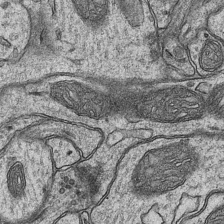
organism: Mouse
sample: CA1 Hippocampus